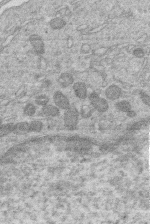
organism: Human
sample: Macrophage cells